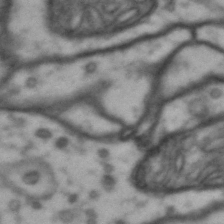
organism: Drosophila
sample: Brain